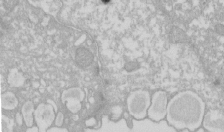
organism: Xenopus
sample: Cilia; centrioles in frog embryo cells